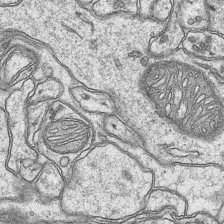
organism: Mouse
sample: CA1 Hippocampus